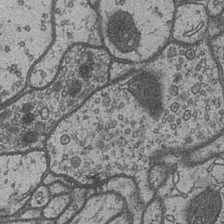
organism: Drosophila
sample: Optic medulla